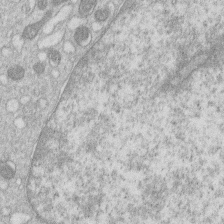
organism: Human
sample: Macrophage cells